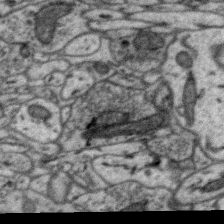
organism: Zebra finch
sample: Brain